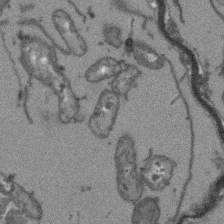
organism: Arabidopsis thaliana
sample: Root tip